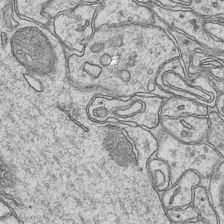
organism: Mouse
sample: CA1 Hippocampus